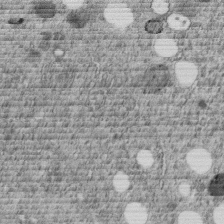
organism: C. elegans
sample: C. elegans embryo early stage